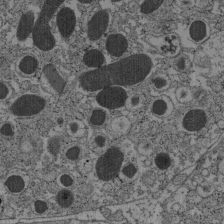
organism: C57BL Mouse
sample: Pancreatic islet